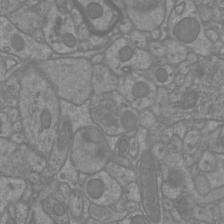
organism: Mouse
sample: Cortical neurons